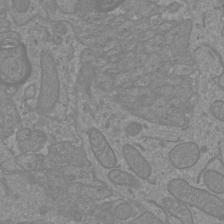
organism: Mouse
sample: Cortical neurons